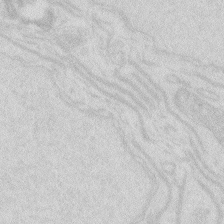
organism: Zebrafish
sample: Macrophage